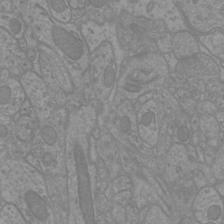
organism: Mouse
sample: Cortical neurons